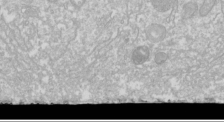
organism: Drosophila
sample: Cell division; meiosis; drosophila spermatocytes